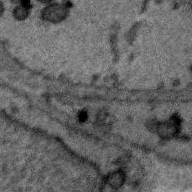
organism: Zebra finch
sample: Brain